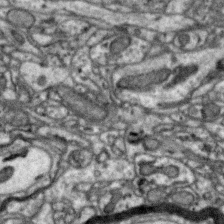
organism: Zebra finch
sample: Brain